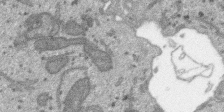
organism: Human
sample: Lung epithelial cells infected with SARS-CoV-2